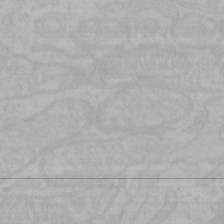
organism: Mouse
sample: Choroid plexus